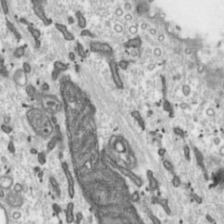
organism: Toxoplasma gondii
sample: Parasites in a vacuole inside a host cell